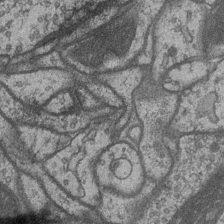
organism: Drosophila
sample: Optic medulla